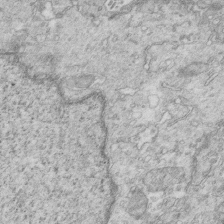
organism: Mouse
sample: Multiciliated cells